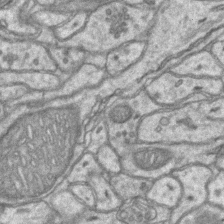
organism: Mouse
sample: CA1 Hippocampus